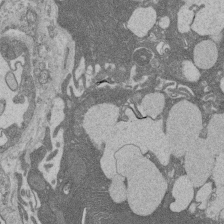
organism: Rat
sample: Salivary granule